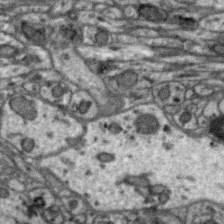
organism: Zebra finch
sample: Brain